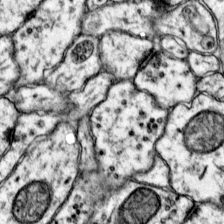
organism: Mouse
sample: Primary visual cortex